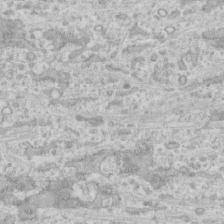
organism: Human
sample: CRL-1474